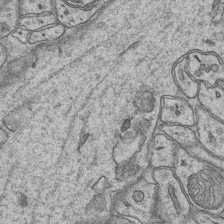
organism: Mouse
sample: CA1 Hippocampus